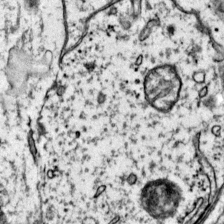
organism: Mouse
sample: Primary visual cortex